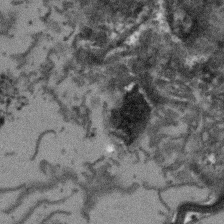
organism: Arabidopsis thaliana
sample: Root tip